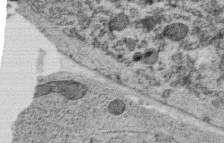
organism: C. elegans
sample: C. elegans oocyte; sperm cells